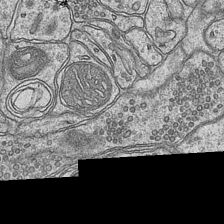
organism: Mouse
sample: CA1 Hippocampus